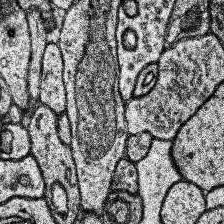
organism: Human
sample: Temporal Lobe